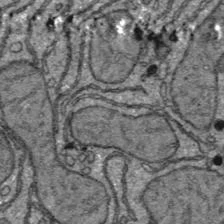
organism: C57BL Mouse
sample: Liver